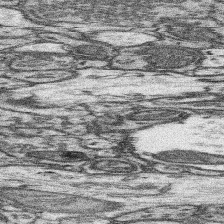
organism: Mouse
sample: Somatosensory cortex neuropil